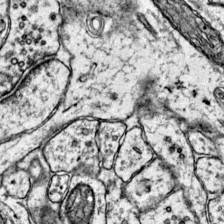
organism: Mouse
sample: Primary visual cortex